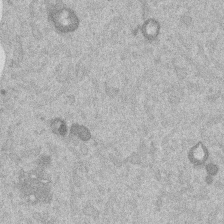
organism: Mouse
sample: Dividing mouse embryo 1 cell stage